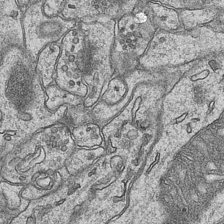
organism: Mouse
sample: CA1 Hippocampus